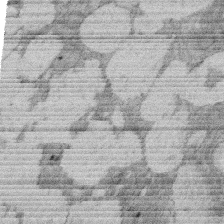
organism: Rat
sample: Salivary granule